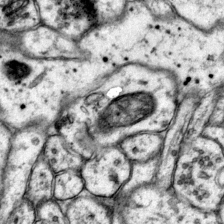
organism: Mouse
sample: Primary visual cortex